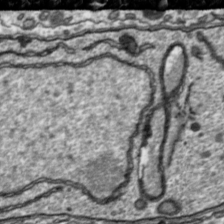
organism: Toxoplasma gondii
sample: Parasites in a vacuole inside a host cell